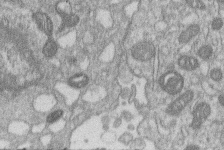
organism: Human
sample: Macrophage cells